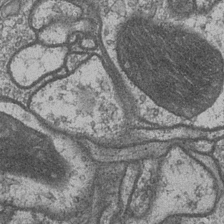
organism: Drosophila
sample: Optic medulla